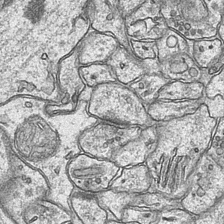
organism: Mouse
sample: CA1 Hippocampus